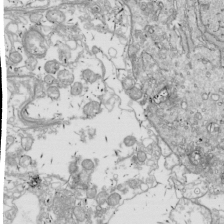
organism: Drosophila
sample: Cell division; meiosis; drosophila spermatocytes